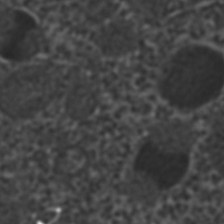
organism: C. elegans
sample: C. elegans embryo